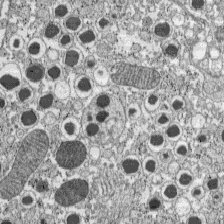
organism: C57BL Mouse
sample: Pancreatic islet